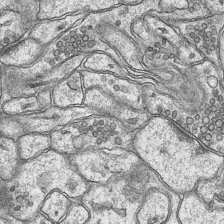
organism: Mouse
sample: CA1 Hippocampus